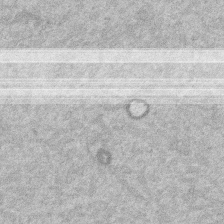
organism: Mouse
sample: Dividing mouse embryo 1 cell stage